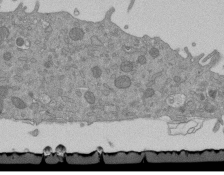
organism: Mouse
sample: ED-1 cell nuclei; centrioles